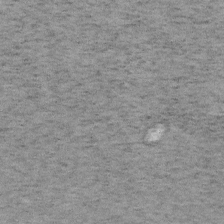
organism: Mouse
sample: OT-I killer T cells with ID8 ovarian cancer cells